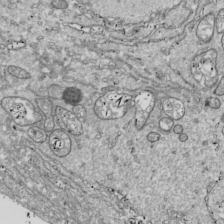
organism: Drosophila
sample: Cell division; meiosis; drosophila spermatocytes